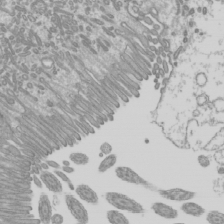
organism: Mouse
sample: Cilia; mouse epididymis